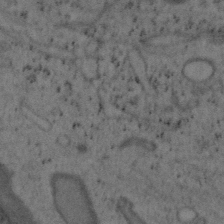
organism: Human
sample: HeLa cells